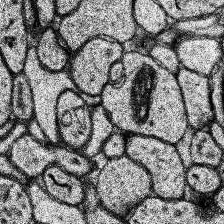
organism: Human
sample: Temporal Lobe